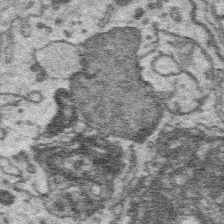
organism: Platynereis dumerilii